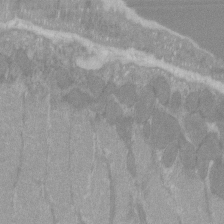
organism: C57BL Mouse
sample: Tibialis anterior muscle cell